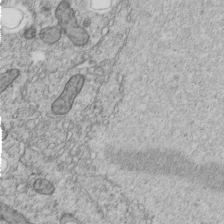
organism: C. elegans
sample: C. elegans embryo early stage